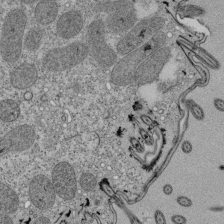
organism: Tetrahymena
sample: Cilia in tetrahymena